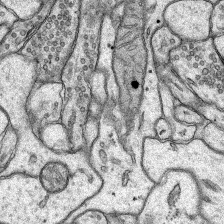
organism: Rat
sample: Hippocampus